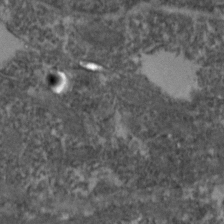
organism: Zebrafish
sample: Zebrafish embryo